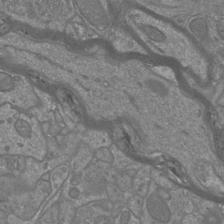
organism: Mouse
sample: Cortical neurons